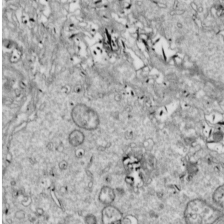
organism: Drosophila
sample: Cell division; meiosis; drosophila spermatocytes